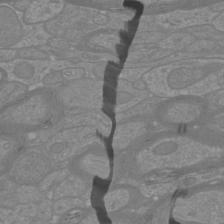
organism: Mouse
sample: Cortical neurons